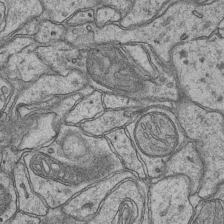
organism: Mouse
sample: CA1 Hippocampus